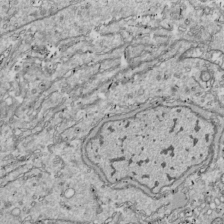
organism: Drosophila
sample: Cell division; meiosis; drosophila spermatocytes